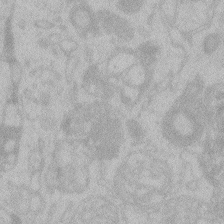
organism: Zebrafish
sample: Macrophage infected with Toxoplasma gondii